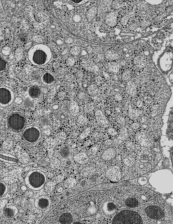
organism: C57BL Mouse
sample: Pancreatic islet